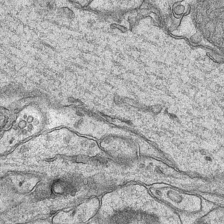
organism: Mouse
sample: CA1 Hippocampus